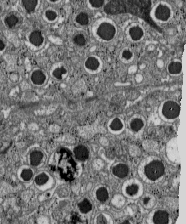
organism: C57BL Mouse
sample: Pancreatic islet